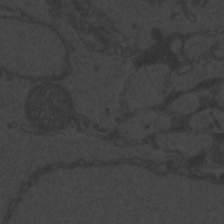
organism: Zebrafish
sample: Macrophage infected with Toxoplasma gondii